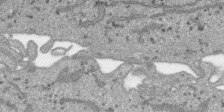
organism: Human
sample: Lung epithelial cells infected with SARS-CoV-2